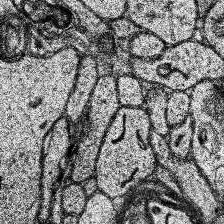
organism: Human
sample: Temporal Lobe